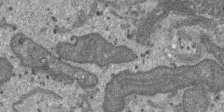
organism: Human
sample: Lung epithelial cells infected with SARS-CoV-2